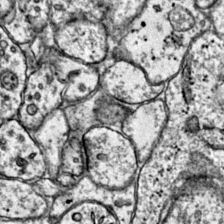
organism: Mouse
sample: Primary visual cortex